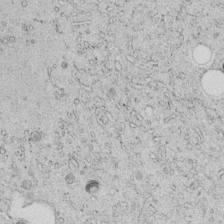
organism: C. elegans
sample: C. elegans embryo early stage